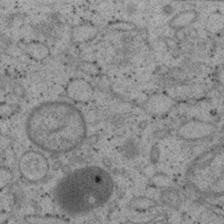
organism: Human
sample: HeLa cells